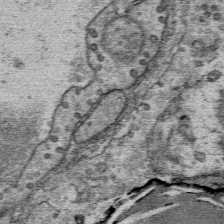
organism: Mouse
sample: Mouse Salivary gland